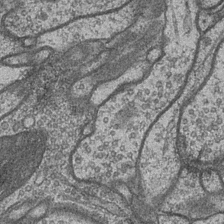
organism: Drosophila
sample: Optic medulla